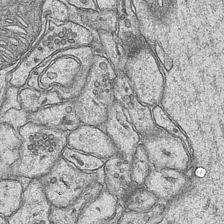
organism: Mouse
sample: CA1 Hippocampus